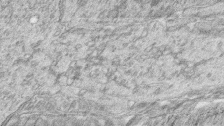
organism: Zebrafish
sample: synaptic ribbons in rod cells and cone cells